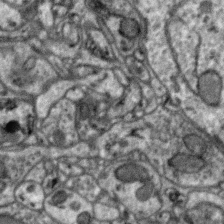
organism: Zebra finch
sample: Brain